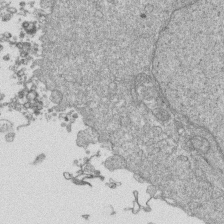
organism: Human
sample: HeLa cell HIV synapse